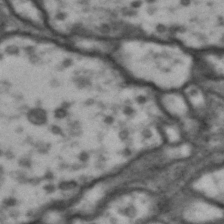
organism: Drosophila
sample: Brain